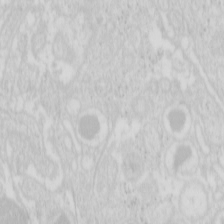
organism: Mouse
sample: Pancreas